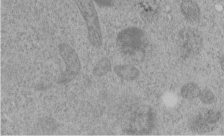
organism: C. elegans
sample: C. elegans embryo early stage